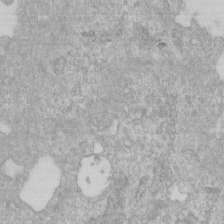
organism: Human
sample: Centriole in RPE cells